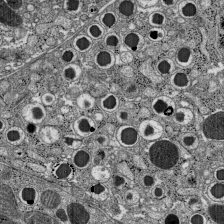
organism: C57BL Mouse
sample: Pancreatic islet